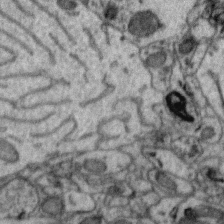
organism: Zebra finch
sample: Brain